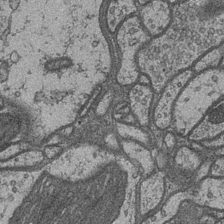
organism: Drosophila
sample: Optic medulla